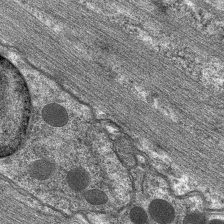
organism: C. elegans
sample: Pharynx